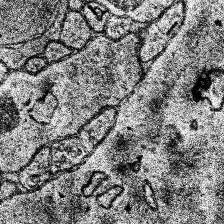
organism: Human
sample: Temporal Lobe